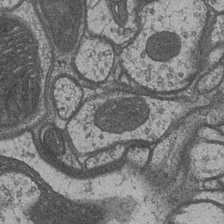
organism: Drosophila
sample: Optic medulla